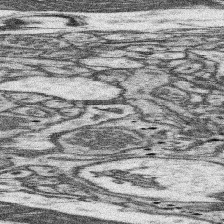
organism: Mouse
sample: Somatosensory cortex neuropil